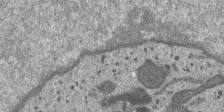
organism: Human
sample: Lung epithelial cells infected with SARS-CoV-2